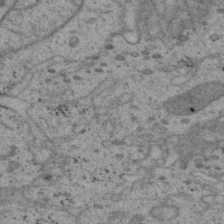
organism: Human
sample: HeLa cells